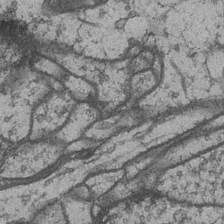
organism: Drosophila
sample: Optic medulla